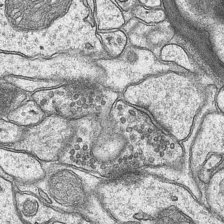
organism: Mouse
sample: CA1 Hippocampus